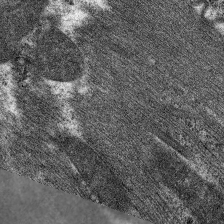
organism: C. elegans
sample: Pharynx